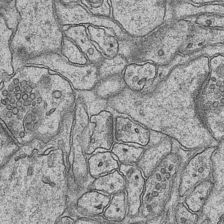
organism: Mouse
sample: CA1 Hippocampus